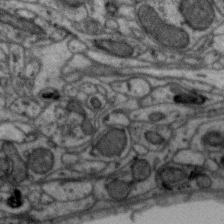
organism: Zebra finch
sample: Brain